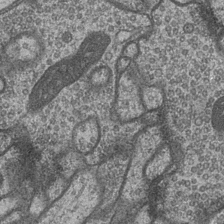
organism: Drosophila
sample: Optic medulla